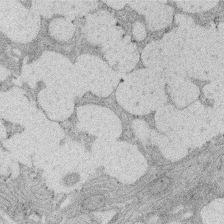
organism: Rat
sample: Salivary granule